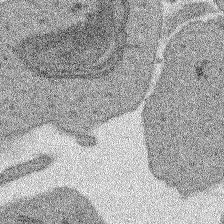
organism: Human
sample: HeLa cells